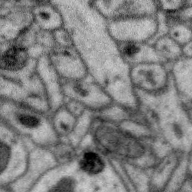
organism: Zebra finch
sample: Brain